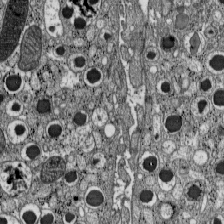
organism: C57BL Mouse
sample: Pancreatic islet